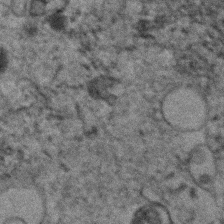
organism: Human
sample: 1205lu cells